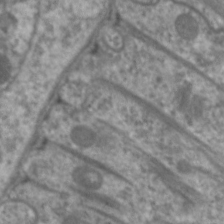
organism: C. elegans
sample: Pharynx